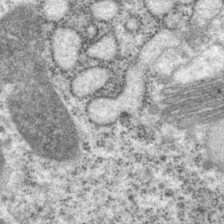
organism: P. pacificus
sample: Pharynx